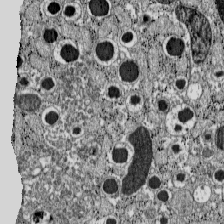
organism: C57BL Mouse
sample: Pancreatic islet